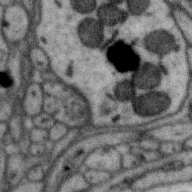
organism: Zebra finch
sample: Brain